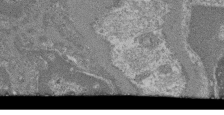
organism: Mouse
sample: Glomerulus